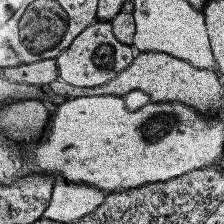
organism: Human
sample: Temporal Lobe